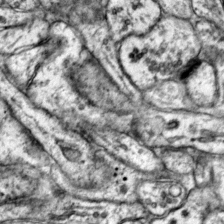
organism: Mouse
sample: Primary visual cortex